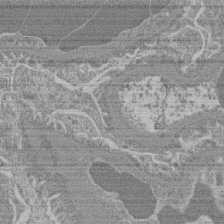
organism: Mouse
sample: Glomerulus